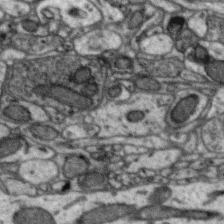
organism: Zebra finch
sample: Brain